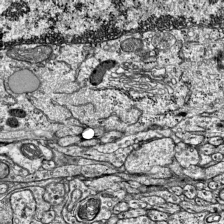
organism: Mouse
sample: Visual Cortex